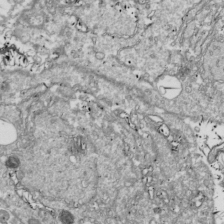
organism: Drosophila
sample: Cell division; meiosis; drosophila spermatocytes